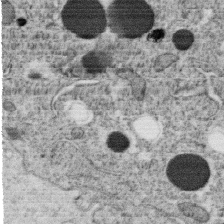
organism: C. elegans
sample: C. elegans oocyte; sperm cells